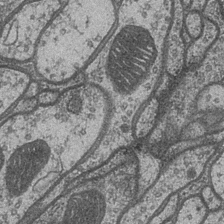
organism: Drosophila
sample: Optic medulla